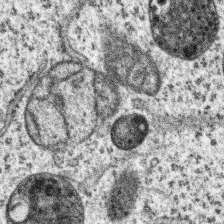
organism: Human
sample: HeLa cells